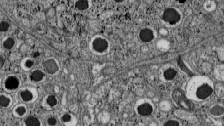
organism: C57BL Mouse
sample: Pancreatic islet